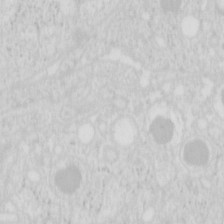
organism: Mouse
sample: Pancreas